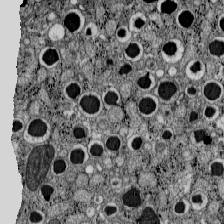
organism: C57BL Mouse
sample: Pancreatic islet